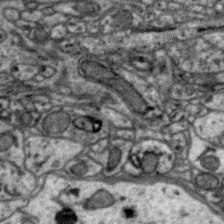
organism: Zebra finch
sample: Brain